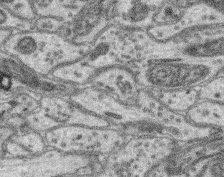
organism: Mouse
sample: Retina